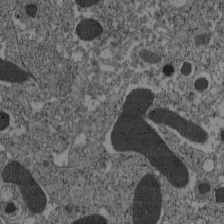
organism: C57BL Mouse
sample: Pancreatic islet